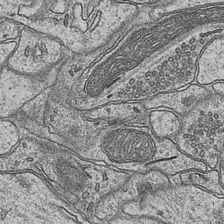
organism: Mouse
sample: CA1 Hippocampus